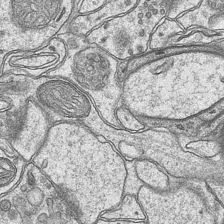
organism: Mouse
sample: CA1 Hippocampus